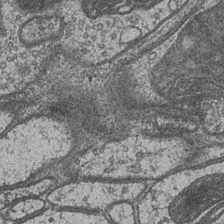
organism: Drosophila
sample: Optic medulla